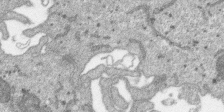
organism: Human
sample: Lung epithelial cells infected with SARS-CoV-2